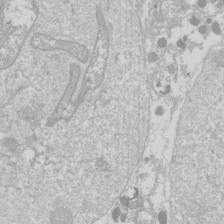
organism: Drosophila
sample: Cell division; meiosis; drosophila spermatocytes